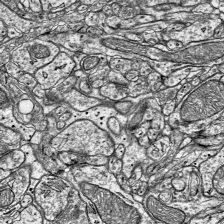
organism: Mouse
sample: Visual Cortex